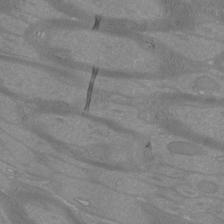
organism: Mouse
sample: Cortical neurons